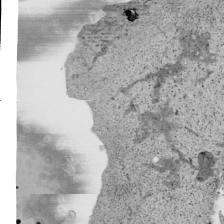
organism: Human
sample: Mitochondria in HCT116 cells